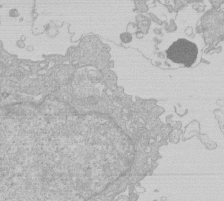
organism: Human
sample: Macrophage cells